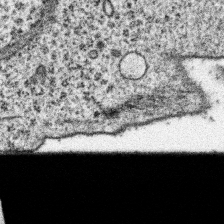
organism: Human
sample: HeLa cells